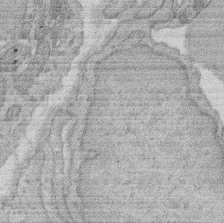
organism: Rat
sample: Salivary granule